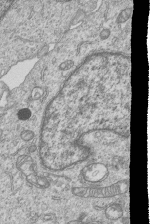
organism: Human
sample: MDA-MB-231 cells